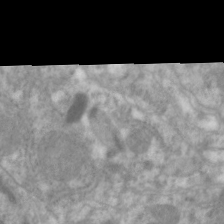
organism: C. elegans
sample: Pharynx